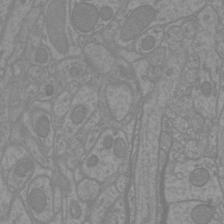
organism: Mouse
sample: Cortical neurons